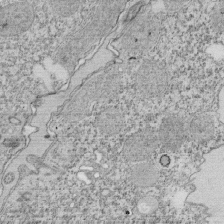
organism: Tetrahymena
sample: Cilia in tetrahymena